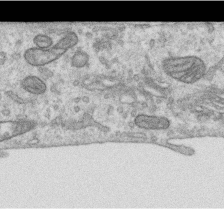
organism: Human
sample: Centriole in RPE cells